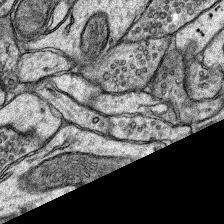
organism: Rat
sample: Hippocampus